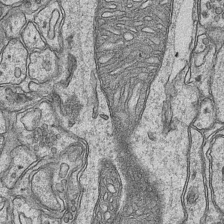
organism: Mouse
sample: CA1 Hippocampus